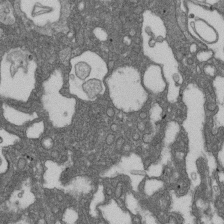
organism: Drosophila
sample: Nephrocyte